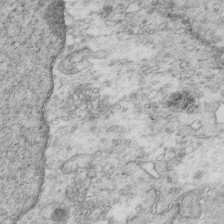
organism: Mouse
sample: Multiciliated cells